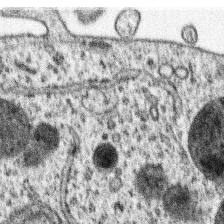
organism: Human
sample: HeLa cells